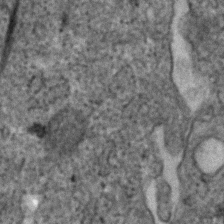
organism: Human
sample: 1205lu cells